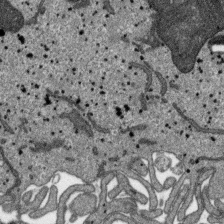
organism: Human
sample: Lung epithelial cells, uninfected (mock) control